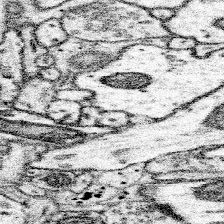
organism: Mouse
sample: Somatosensory cortex neuropil